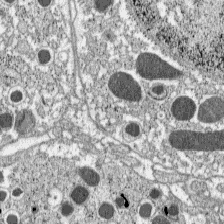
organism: C57BL Mouse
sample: Pancreatic islet